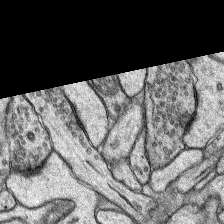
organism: Rat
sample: Hippocampus